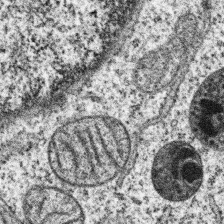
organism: Human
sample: HeLa cells